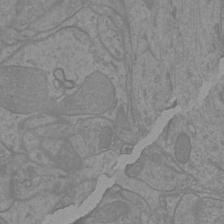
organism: Mouse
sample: Cortical neurons